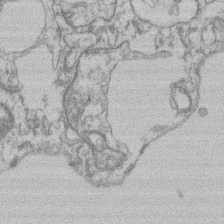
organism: Mouse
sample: T cell stromal cell synapse